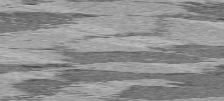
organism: C57BL Mouse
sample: Heart